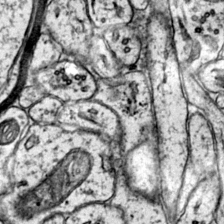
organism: Mouse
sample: Primary visual cortex